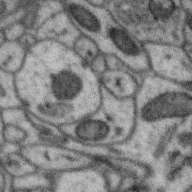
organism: Zebra finch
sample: Brain